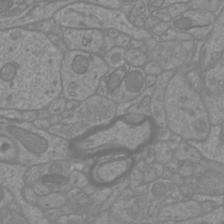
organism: Mouse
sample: Cortical neurons